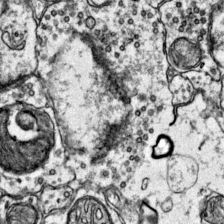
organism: Mouse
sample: Primary visual cortex